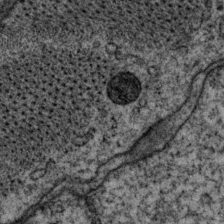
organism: P. pacificus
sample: Pharynx